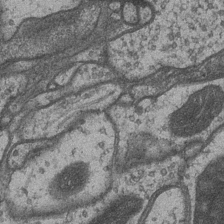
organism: Drosophila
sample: Optic medulla